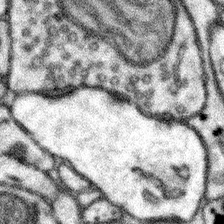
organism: Mouse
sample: Somatosensory cortex neuropil